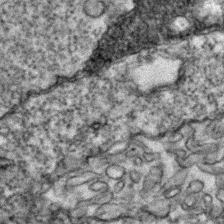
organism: Zebrafish